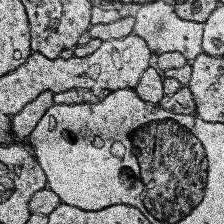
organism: Human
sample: Temporal Lobe